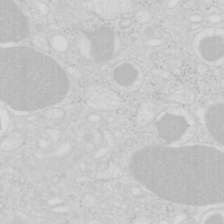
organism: Mouse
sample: Pancreas